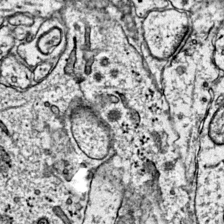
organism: Mouse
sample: Primary visual cortex